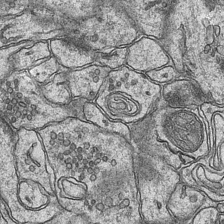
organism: Mouse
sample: CA1 Hippocampus